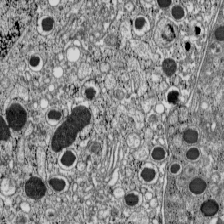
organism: C57BL Mouse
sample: Pancreatic islet